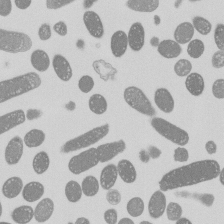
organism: E. coli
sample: Bacterial nucleoid